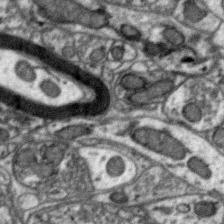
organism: Zebra finch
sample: Brain